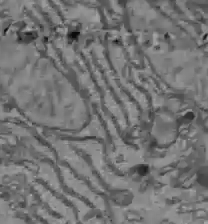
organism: C57BL Mouse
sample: Liver